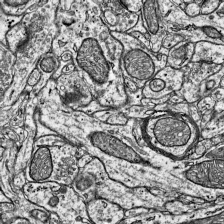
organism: Mouse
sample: Visual Cortex